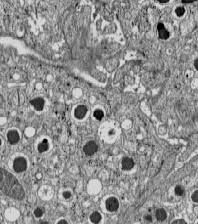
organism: C57BL Mouse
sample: Pancreatic islet